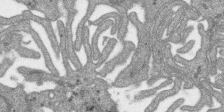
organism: Human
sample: Lung epithelial cells infected with SARS-CoV-2